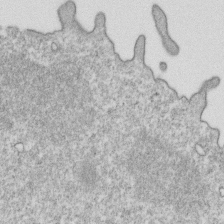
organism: Mouse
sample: Activated OT-1 CD8+ T cells